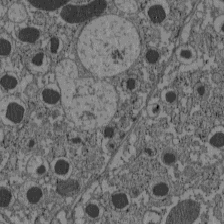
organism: C57BL Mouse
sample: Pancreatic islet